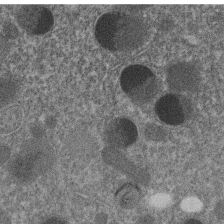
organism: C. elegans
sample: C. elegans embryo early stage